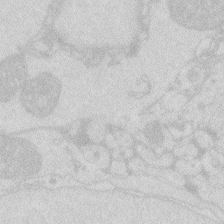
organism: Zebrafish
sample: Macrophage